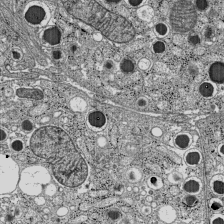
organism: C57BL Mouse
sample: Pancreatic islet